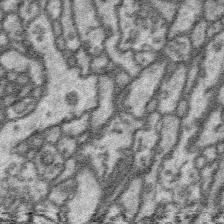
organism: Platynereis dumerilii